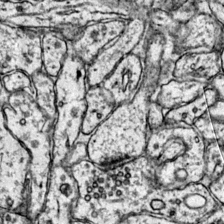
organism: Mouse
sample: Primary visual cortex